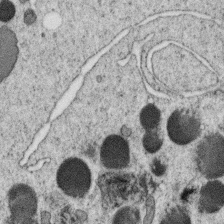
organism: C. elegans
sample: C. elegans oocyte; sperm cells